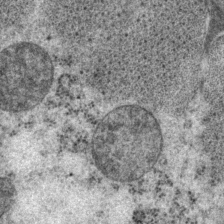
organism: P. pacificus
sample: Pharynx